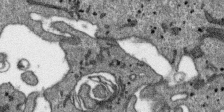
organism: Human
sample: Lung epithelial cells, uninfected (mock) control